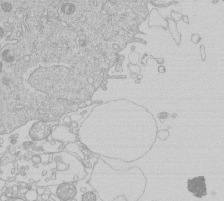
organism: Human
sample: Macrophage cells